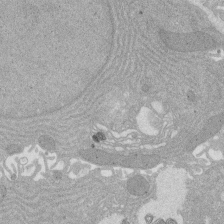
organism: Rat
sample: Salivary granule